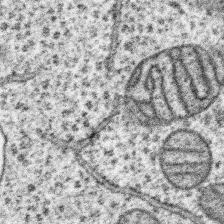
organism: Human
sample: HeLa cells